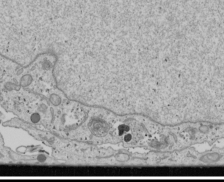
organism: Human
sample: Mitochondria in U2OS cells